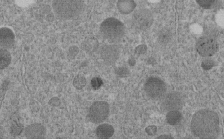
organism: C. elegans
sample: C. elegans embryo early stage